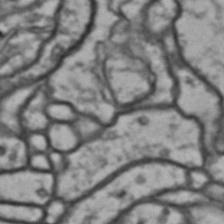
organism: Drosophila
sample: Brain